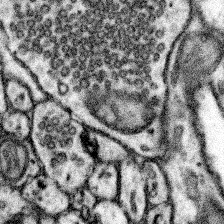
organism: Mouse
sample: Somatosensory cortex neuropil